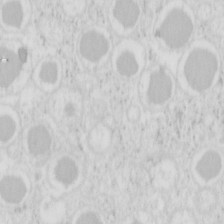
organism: Mouse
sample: Pancreas